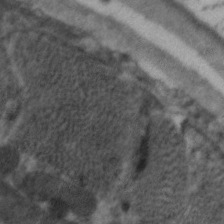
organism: C. elegans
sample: Pharynx